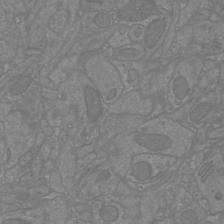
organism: Mouse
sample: Cortical neurons